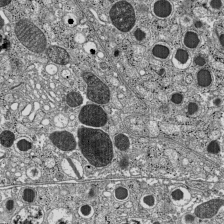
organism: C57BL Mouse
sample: Pancreatic islet